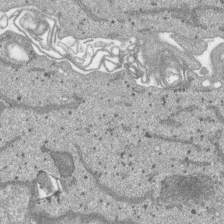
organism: Human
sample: Lung epithelial cells infected with SARS-CoV-2